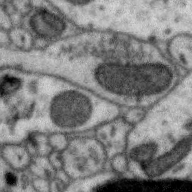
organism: Zebra finch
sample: Brain